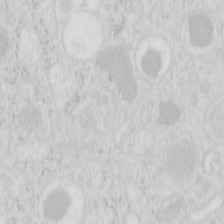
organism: Mouse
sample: Pancreas